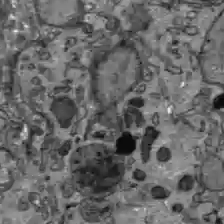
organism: C57BL Mouse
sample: Liver